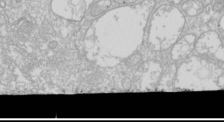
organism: Drosophila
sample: Cell division; meiosis; drosophila spermatocytes